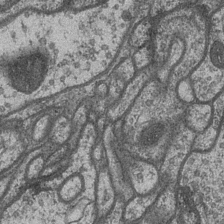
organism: Drosophila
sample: Optic medulla